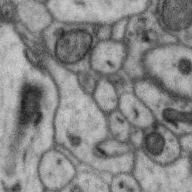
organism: Zebra finch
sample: Brain